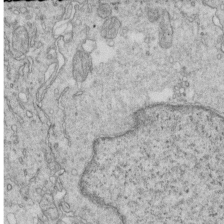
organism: Mouse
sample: Multiciliated cells